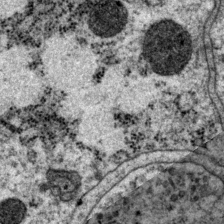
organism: P. pacificus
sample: Pharynx